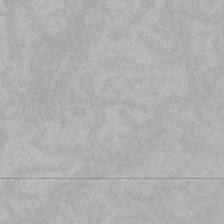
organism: Mouse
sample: Choroid plexus